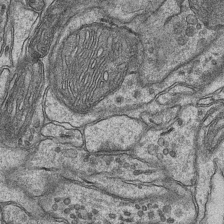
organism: Mouse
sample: CA1 Hippocampus